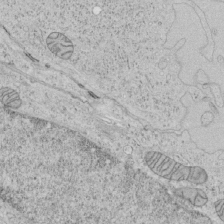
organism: Human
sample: Mitochondria in HCT116 cells